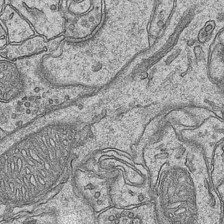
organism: Mouse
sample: CA1 Hippocampus